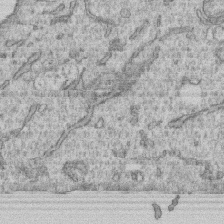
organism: Human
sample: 1205lu cells